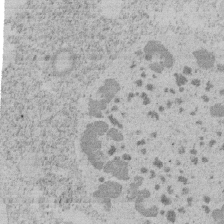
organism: Tetrahymena